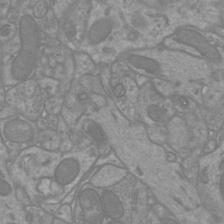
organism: Mouse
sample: Cortical neurons